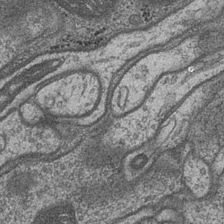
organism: Drosophila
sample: Optic medulla